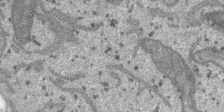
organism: Human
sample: Lung epithelial cells infected with SARS-CoV-2